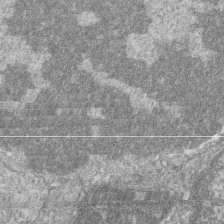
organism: Zebrafish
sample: Cilia; retinal pigment epithelium